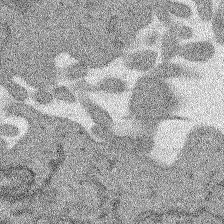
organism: Human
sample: HeLa cells